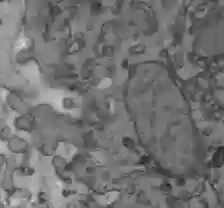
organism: C57BL Mouse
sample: Liver